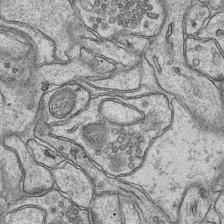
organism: Mouse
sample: CA1 Hippocampus